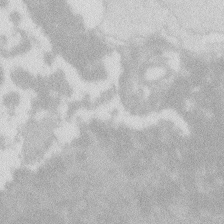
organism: Zebrafish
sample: Macrophage